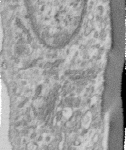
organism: Human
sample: Centriole in RPE cells